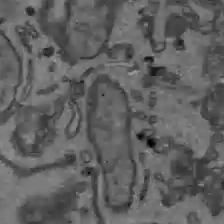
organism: C57BL Mouse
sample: Liver